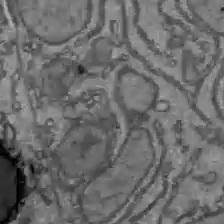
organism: C57BL Mouse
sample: Liver